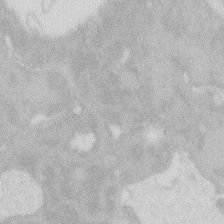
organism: Zebrafish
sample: Macrophage